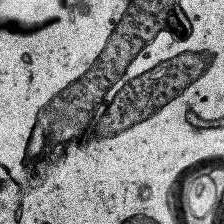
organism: Human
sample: Temporal Lobe